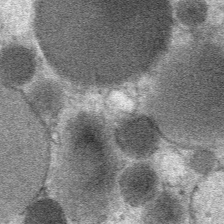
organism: Mouse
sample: Mouse Salivary gland